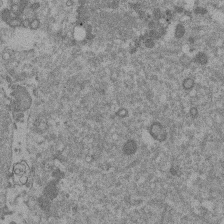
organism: Mouse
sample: Dividing mouse embryo 1 cell stage